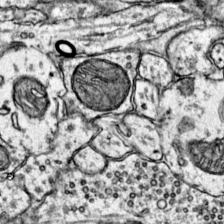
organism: Mouse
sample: Primary visual cortex